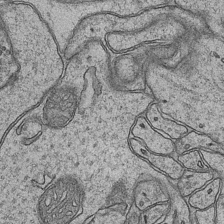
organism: Mouse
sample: CA1 Hippocampus